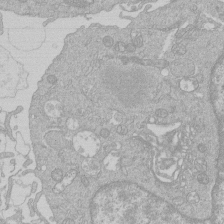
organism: Human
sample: Macrophage cells